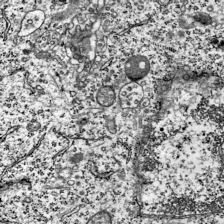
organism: Mouse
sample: Visual Cortex